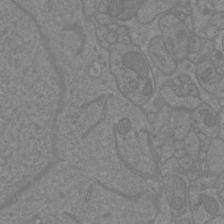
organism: Mouse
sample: Cortical neurons